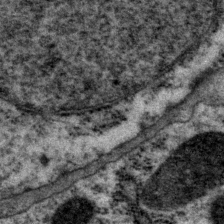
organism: P. pacificus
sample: Pharynx